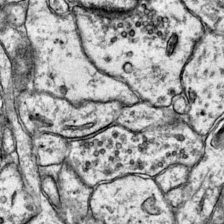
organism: Mouse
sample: Primary visual cortex